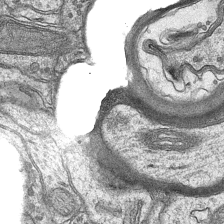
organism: Mouse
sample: CA1 Hippocampus